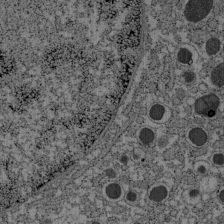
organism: C57BL Mouse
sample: Pancreatic islet